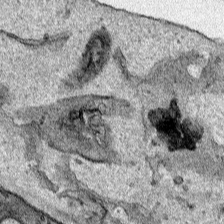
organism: Human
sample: Mitochondria in HCT116 cells